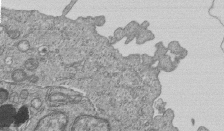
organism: Human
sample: MDA-MB-231 cells